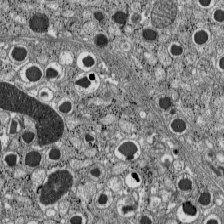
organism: C57BL Mouse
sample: Pancreatic islet